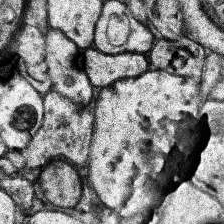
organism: Human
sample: Temporal Lobe